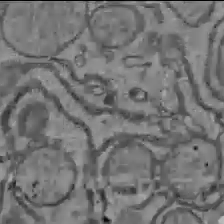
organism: C57BL Mouse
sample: Liver